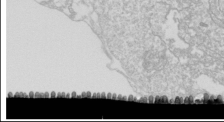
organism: Drosophila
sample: Cell division; meiosis; drosophila spermatocytes